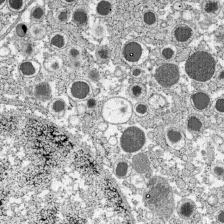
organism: C57BL Mouse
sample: Pancreatic islet